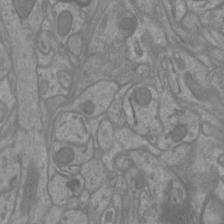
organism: Mouse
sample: Cortical neurons